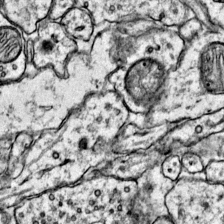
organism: Mouse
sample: Primary visual cortex